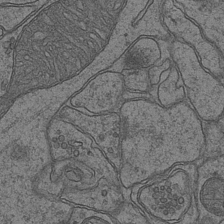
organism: Mouse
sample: CA1 Hippocampus